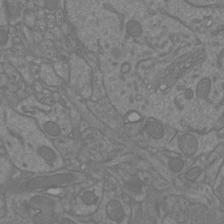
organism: Mouse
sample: Cortical neurons